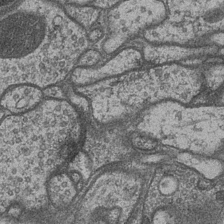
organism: Drosophila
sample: Optic medulla